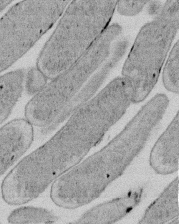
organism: E. coli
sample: Bacterial nucleoid